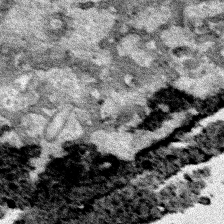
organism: Human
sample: Mitochondria in HCT116 cells